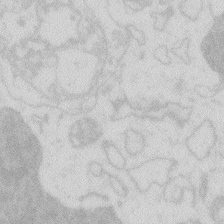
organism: Zebrafish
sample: Macrophage